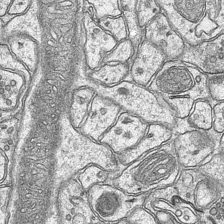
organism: Mouse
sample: CA1 Hippocampus